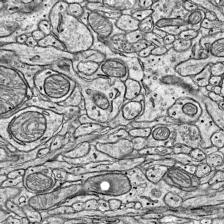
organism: Mouse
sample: Visual Cortex